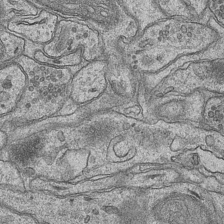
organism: Mouse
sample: CA1 Hippocampus